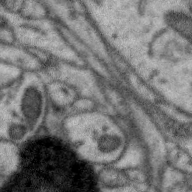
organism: Zebra finch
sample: Brain